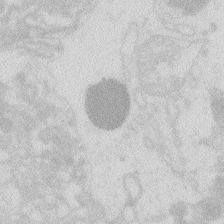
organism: Zebrafish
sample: Macrophage